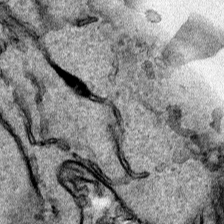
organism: Human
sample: Mitochondria in HCT116 cells